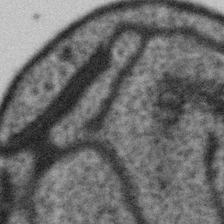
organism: Gemmata obscuriglobus